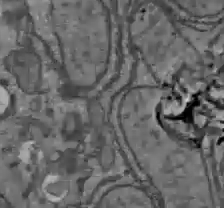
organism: C57BL Mouse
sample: Liver